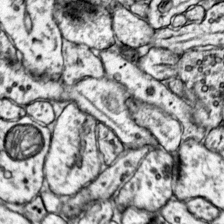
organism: Mouse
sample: Primary visual cortex